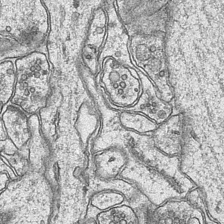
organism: Mouse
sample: CA1 Hippocampus